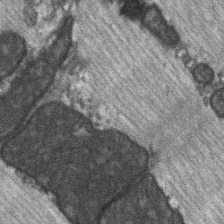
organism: C57BL Mouse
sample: Soleus